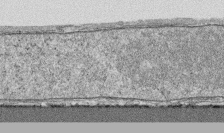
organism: Human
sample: CRL-1474